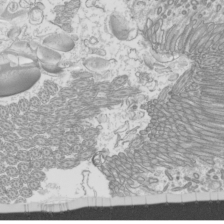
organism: Mouse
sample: Cilia; mouse epididymis